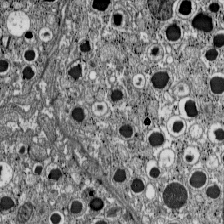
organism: C57BL Mouse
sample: Pancreatic islet